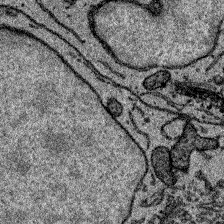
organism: Zebrafish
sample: Larval olfactory bulb